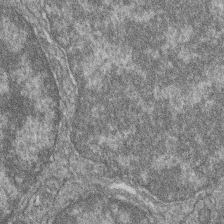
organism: Zebrafish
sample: Cilia; retinal pigment epithelium